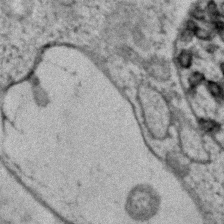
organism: Human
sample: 1205lu cells